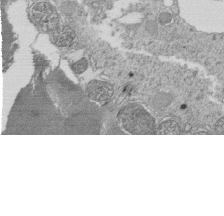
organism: Tetrahymena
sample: Cilia in tetrahymena